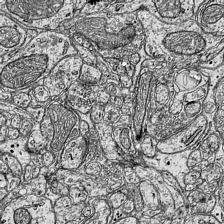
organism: Mouse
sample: Visual Cortex